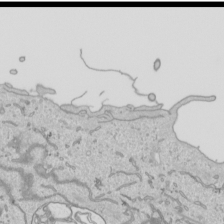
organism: Human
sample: Mitochondria in HCT116 cells